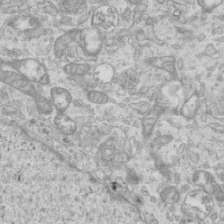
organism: Mouse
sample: Centriole in ependymal cells